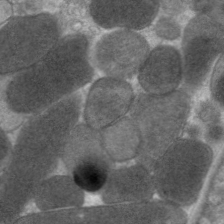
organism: C. elegans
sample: Pharynx